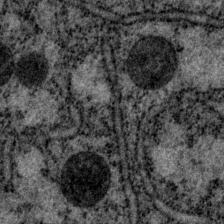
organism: P. pacificus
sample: Pharynx